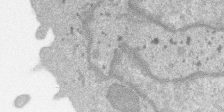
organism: Human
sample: Lung epithelial cells infected with SARS-CoV-2